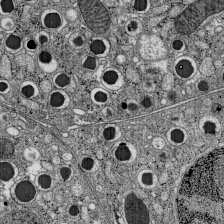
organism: C57BL Mouse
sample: Pancreatic islet